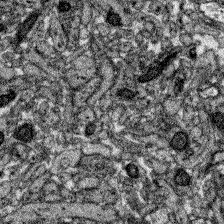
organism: Zebrafish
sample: Larval olfactory bulb